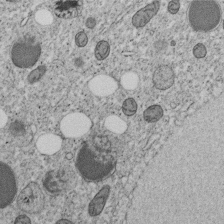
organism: C. elegans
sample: C. elegans embryo early stage